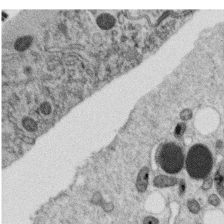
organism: C. elegans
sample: C. elegans oocyte; sperm cells